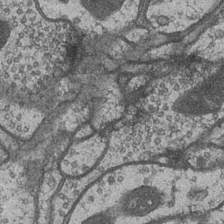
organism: Drosophila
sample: Optic medulla